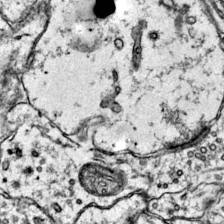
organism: Mouse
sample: Primary visual cortex